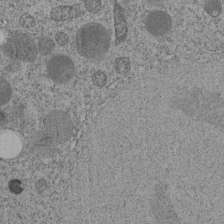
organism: C. elegans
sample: C. elegans embryo early stage